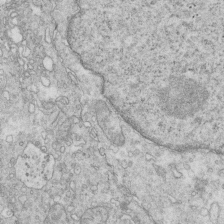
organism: Mouse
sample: Multiciliated cells